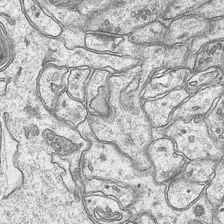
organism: Mouse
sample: CA1 Hippocampus